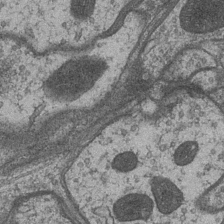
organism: Drosophila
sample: Optic medulla